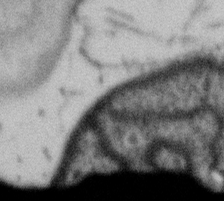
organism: Gemmata obscuriglobus